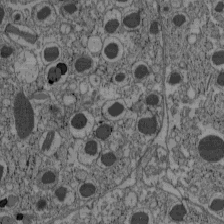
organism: C57BL Mouse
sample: Pancreatic islet